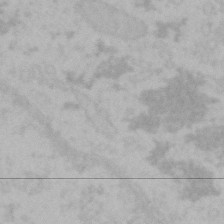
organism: Mouse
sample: Choroid plexus